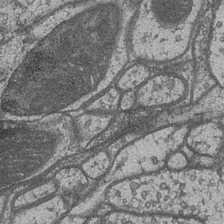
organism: Drosophila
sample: Optic medulla